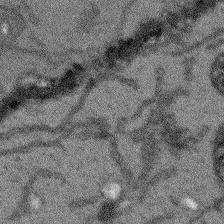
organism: Arabidopsis thaliana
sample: Root tip